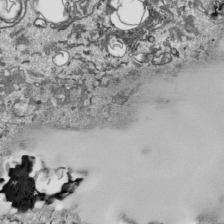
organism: Human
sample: Mitochondria in HCT116 cells